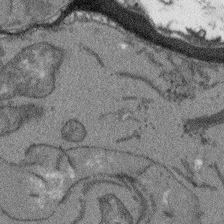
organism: Arabidopsis thaliana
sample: Root tip